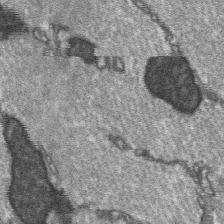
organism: C57BL Mouse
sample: Soleus